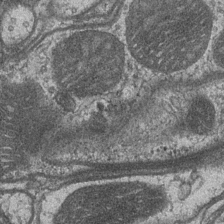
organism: Drosophila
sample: Optic medulla